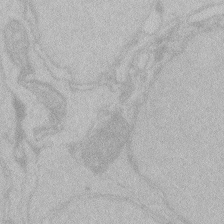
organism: Zebrafish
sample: Macrophage infected with Toxoplasma gondii